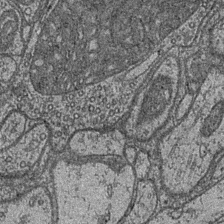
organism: Drosophila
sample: Optic medulla